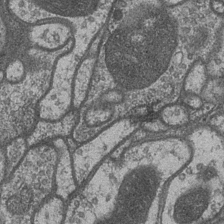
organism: Drosophila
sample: Optic medulla